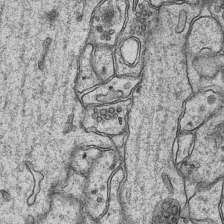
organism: Mouse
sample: CA1 Hippocampus